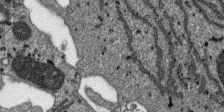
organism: Human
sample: Lung epithelial cells infected with SARS-CoV-2